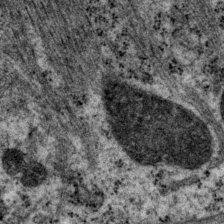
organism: P. pacificus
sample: Pharynx